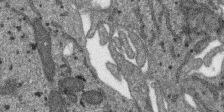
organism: Human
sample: Lung epithelial cells infected with SARS-CoV-2